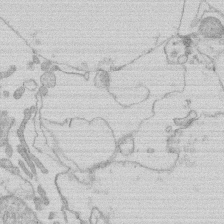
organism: Human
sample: Macrophage cells